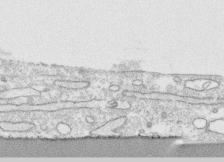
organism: Human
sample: CRL-1474